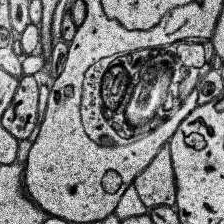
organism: Human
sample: Temporal Lobe